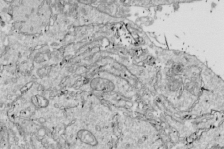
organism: Drosophila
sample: Cell division; meiosis; drosophila spermatocytes